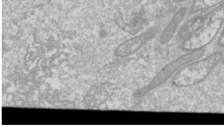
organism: Drosophila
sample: Cell division; meiosis; drosophila spermatocytes